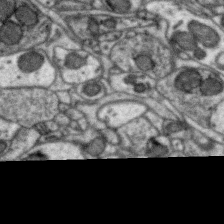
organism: Zebra finch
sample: Brain